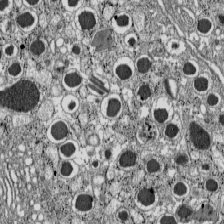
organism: C57BL Mouse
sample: Pancreatic islet